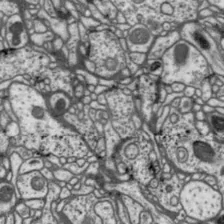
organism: Drosophila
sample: Protocerebral bridge